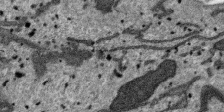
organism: Human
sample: Lung epithelial cells, uninfected (mock) control